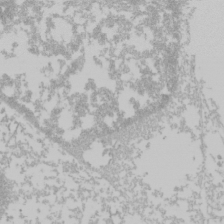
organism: Mouse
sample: Cancer cell death in ED-1 cells